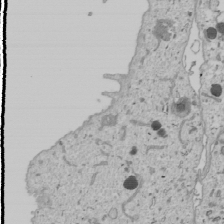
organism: Human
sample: Mitochondria in U2OS cells